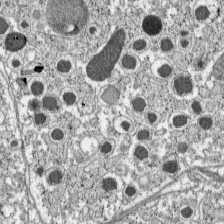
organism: C57BL Mouse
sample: Pancreatic islet